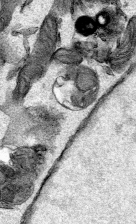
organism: Mouse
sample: Cancer cell death in ED-1 cells